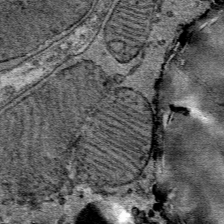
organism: Mouse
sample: Mouse Salivary gland